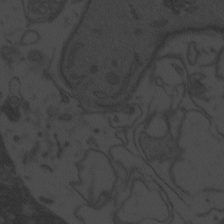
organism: Zebrafish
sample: Macrophage infected with Toxoplasma gondii